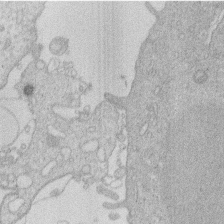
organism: Human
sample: Macrophage cells